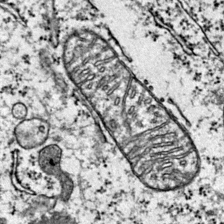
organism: Mouse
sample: Primary visual cortex